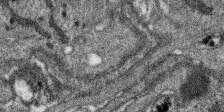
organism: Human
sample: Lung epithelial cells infected with SARS-CoV-2